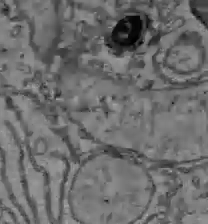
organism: C57BL Mouse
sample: Liver